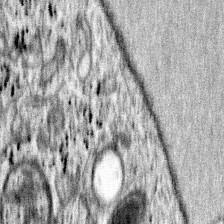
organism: Human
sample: HeLa cells